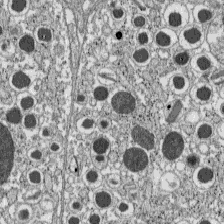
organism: C57BL Mouse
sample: Pancreatic islet